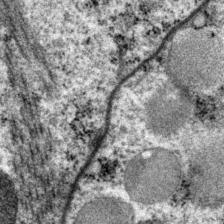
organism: P. pacificus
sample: Pharynx